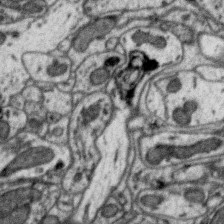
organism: Zebra finch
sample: Brain